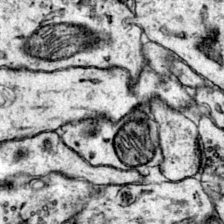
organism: Mouse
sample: Primary visual cortex